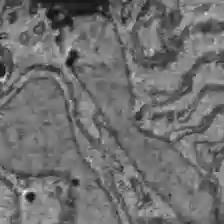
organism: C57BL Mouse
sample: Liver